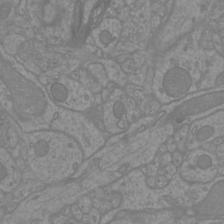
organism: Mouse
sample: Cortical neurons